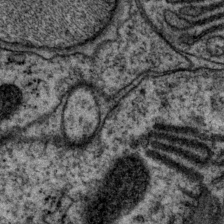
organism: P. pacificus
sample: Pharynx